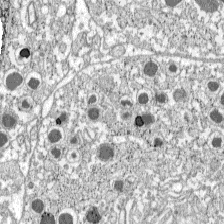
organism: C57BL Mouse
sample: Pancreatic islet